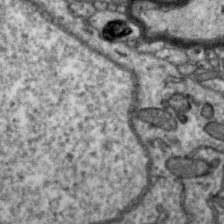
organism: Zebra finch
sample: Brain